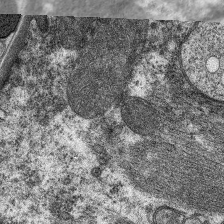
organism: C. elegans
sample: Pharynx